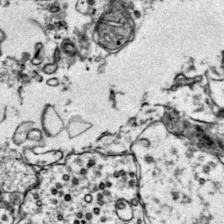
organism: Mouse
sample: Primary visual cortex